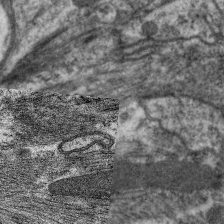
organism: C. elegans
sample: Pharynx